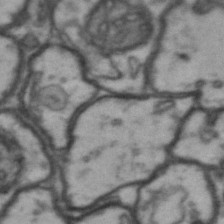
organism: Drosophila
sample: Brain